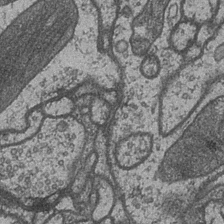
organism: Drosophila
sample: Optic medulla